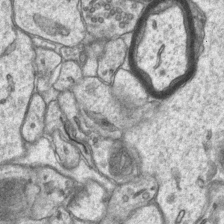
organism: Mouse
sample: CA1 Hippocampus